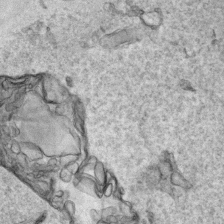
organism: Human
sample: Mitochondria in HCT116 cells